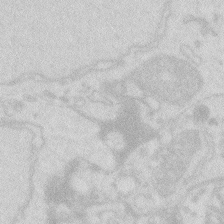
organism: Zebrafish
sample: Macrophage